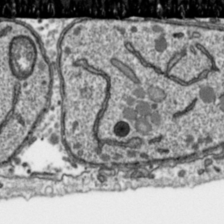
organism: Toxoplasma gondii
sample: Parasites in a vacuole inside a host cell